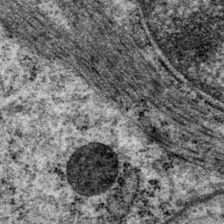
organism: P. pacificus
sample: Pharynx